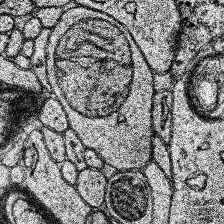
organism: Human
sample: Temporal Lobe